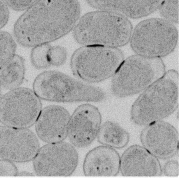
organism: E. coli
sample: Bacterial nucleoid